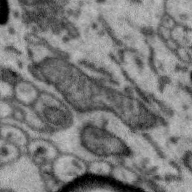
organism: Zebra finch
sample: Brain